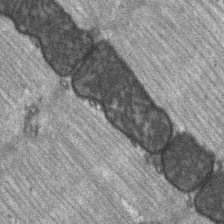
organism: C57BL Mouse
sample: Soleus